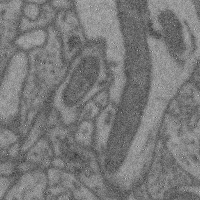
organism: Mouse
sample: Cerebral cortex